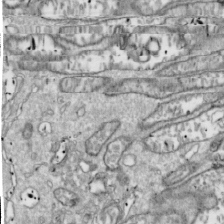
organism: Drosophila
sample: Cell division; meiosis; drosophila spermatocytes